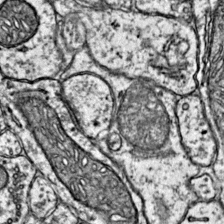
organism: Mouse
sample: Primary visual cortex